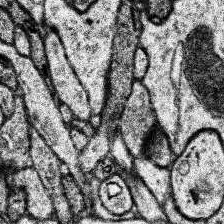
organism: Human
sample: Temporal Lobe